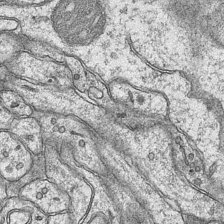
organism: Mouse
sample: CA1 Hippocampus